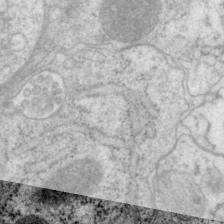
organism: P. pacificus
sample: Pharynx